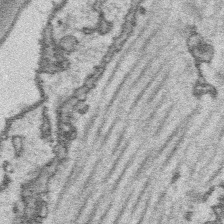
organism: Platynereis dumerilii